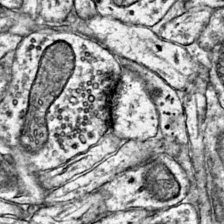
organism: Mouse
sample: Primary visual cortex